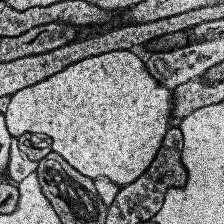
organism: Human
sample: Temporal Lobe